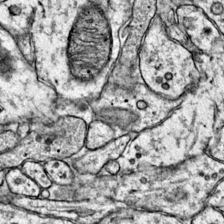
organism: Mouse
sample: Primary visual cortex